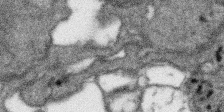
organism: Human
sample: Lung epithelial cells infected with SARS-CoV-2